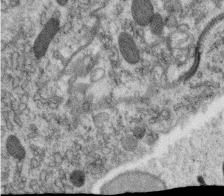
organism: C. elegans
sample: C. elegans oocyte; sperm cells